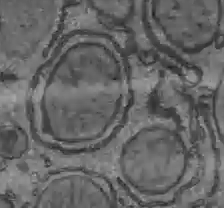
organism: C57BL Mouse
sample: Liver